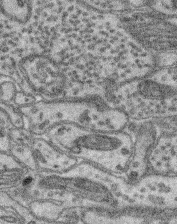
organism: Mouse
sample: Retina